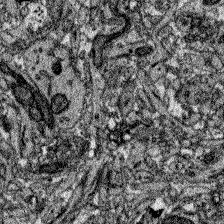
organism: Zebrafish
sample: Larval olfactory bulb